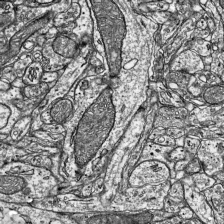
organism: Mouse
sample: Visual Cortex